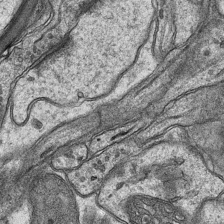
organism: Mouse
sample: CA1 Hippocampus